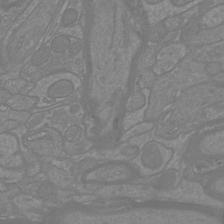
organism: Mouse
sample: Cortical neurons